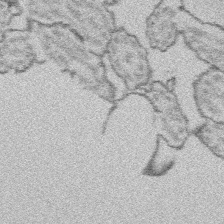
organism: Platynereis dumerilii